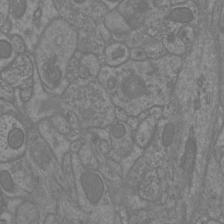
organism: Mouse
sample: Cortical neurons